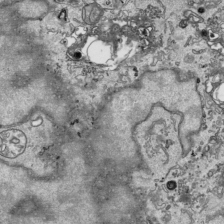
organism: Human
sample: Mitochondria in HCT116 cells